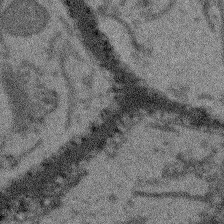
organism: Arabidopsis thaliana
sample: Root tip